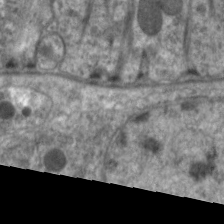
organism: C. elegans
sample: Pharynx